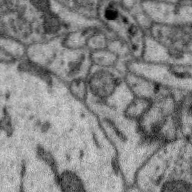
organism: Zebra finch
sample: Brain